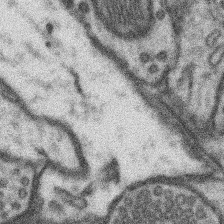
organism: Mouse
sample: Somatosensory cortex neuropil